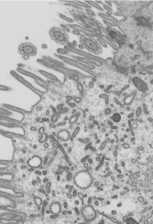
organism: Mouse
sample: Mouse epididymis efferent ductule cilia